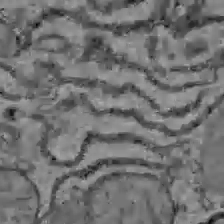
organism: C57BL Mouse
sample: Liver